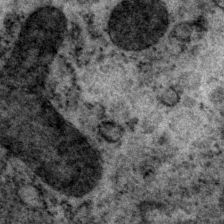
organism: P. pacificus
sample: Pharynx